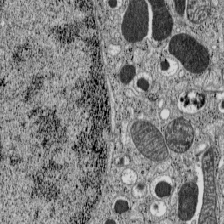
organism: C57BL Mouse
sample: Pancreatic islet